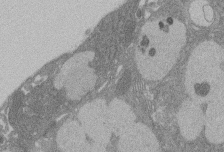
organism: Rat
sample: Salivary granule